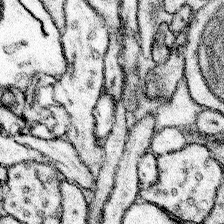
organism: Mouse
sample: Somatosensory cortex neuropil